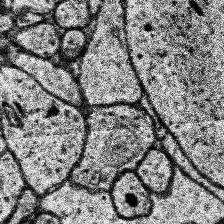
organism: Human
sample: Temporal Lobe